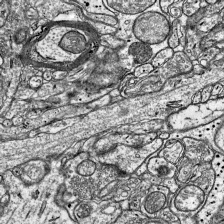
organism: Mouse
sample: Visual Cortex